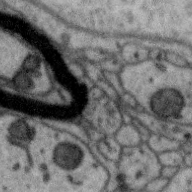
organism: Zebra finch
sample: Brain